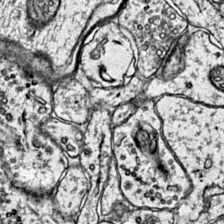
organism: Mouse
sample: Primary visual cortex